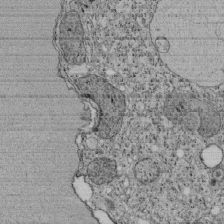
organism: Tetrahymena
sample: Cilia in tetrahymena